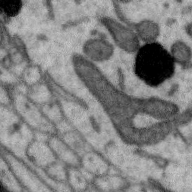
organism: Zebra finch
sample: Brain